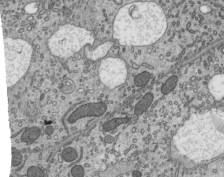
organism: Mouse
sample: Mouse epididymis efferent ductule cilia